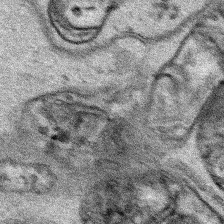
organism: Human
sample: Mitochondria in HCT116 cells